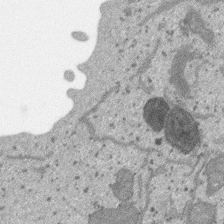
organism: Human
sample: Lung epithelial cells infected with SARS-CoV-2